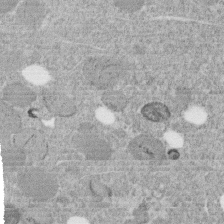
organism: C. elegans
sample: C. elegans embryo early stage